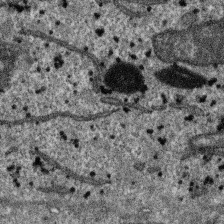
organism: Human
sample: Lung epithelial cells infected with SARS-CoV-2